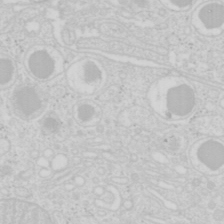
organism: Mouse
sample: Pancreas